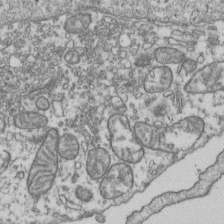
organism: Human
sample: Activated Jurkat CD4+ T cells